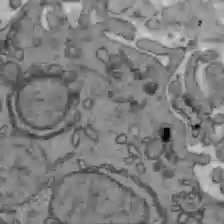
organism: C57BL Mouse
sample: Liver